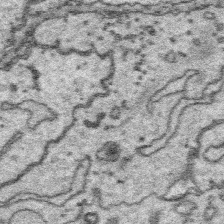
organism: Platynereis dumerilii